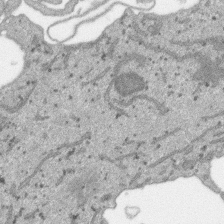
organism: Human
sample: Lung epithelial cells infected with SARS-CoV-2